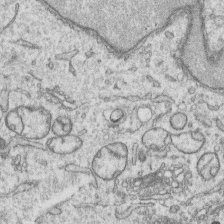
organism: Human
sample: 1205lu cells